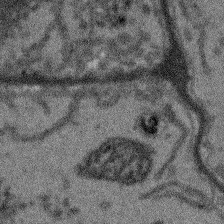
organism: Arabidopsis thaliana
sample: Root tip